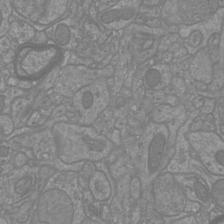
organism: Mouse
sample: Cortical neurons